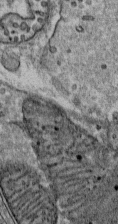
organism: Mouse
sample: Mouse Salivary gland